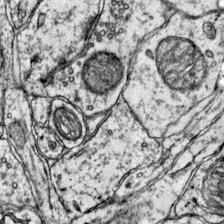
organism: Mouse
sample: Primary visual cortex